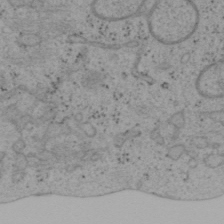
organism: Human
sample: HeLa cells